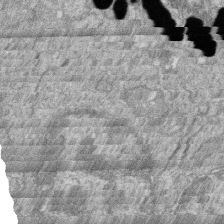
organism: Zebrafish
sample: Cilia; retinal pigment epithelium